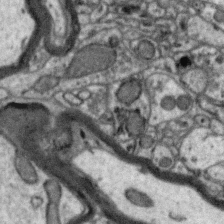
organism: Zebra finch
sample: Brain